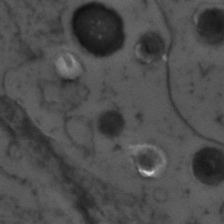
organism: Zebrafish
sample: Zebrafish embryo